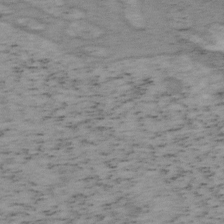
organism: Mouse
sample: OT-I killer T cells with ID8 ovarian cancer cells